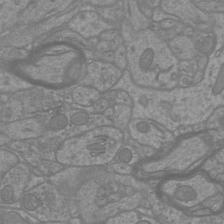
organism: Mouse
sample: Cortical neurons